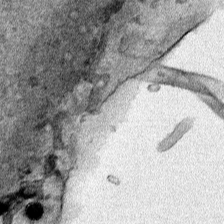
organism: Human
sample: Mitochondria in HCT116 cells